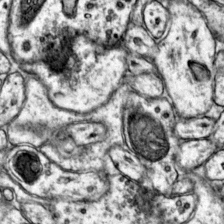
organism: Mouse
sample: Primary visual cortex